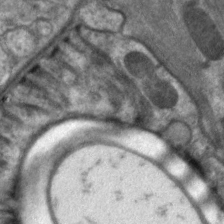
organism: C. elegans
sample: Pharynx